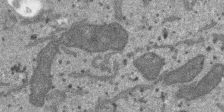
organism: Human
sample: Lung epithelial cells infected with SARS-CoV-2